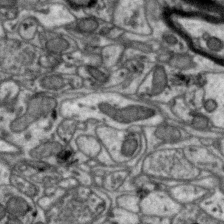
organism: Zebra finch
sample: Brain